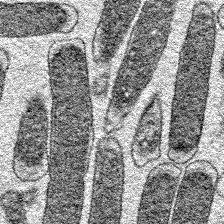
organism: E. coli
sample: E. Coli Bacteria